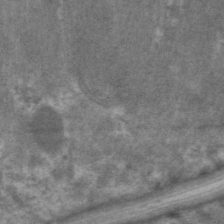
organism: C. elegans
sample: Pharynx